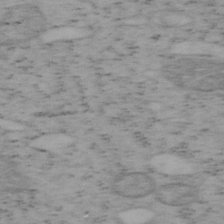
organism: Mouse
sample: OT-I killer T cells with ID8 ovarian cancer cells